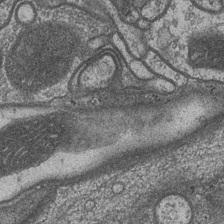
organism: Drosophila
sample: Optic medulla